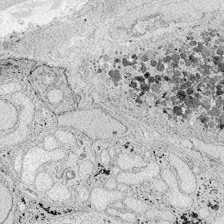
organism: Zebrafish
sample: Whole-Brain